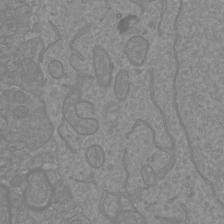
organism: Mouse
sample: Cortical neurons